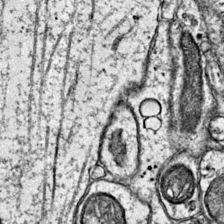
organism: Mouse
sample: Primary visual cortex